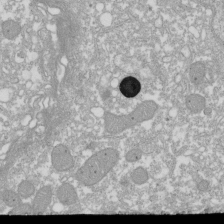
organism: Xenopus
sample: Cilia; centrioles in frog embryo cells